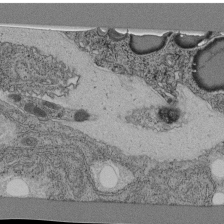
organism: C. elegans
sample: C. elegans pharynx